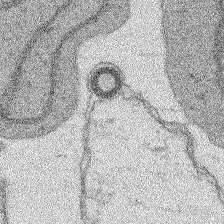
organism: Human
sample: HeLa cells